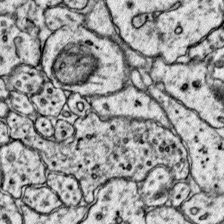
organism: Mouse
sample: Primary visual cortex